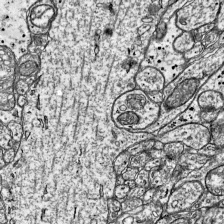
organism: Mouse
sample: Visual Cortex